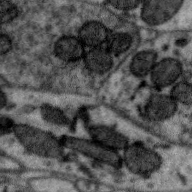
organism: Zebra finch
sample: Brain